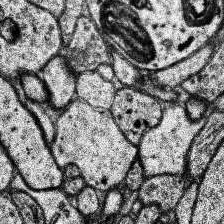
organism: Human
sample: Temporal Lobe